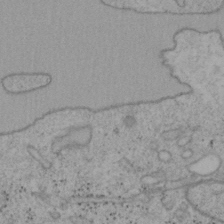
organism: Human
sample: HeLa cells